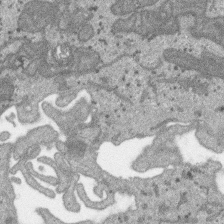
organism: Human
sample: Lung epithelial cells infected with SARS-CoV-2